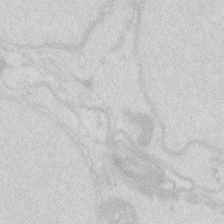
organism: Zebrafish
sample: Macrophage